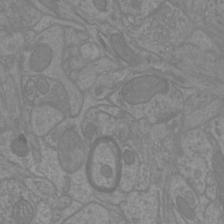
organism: Mouse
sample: Cortical neurons